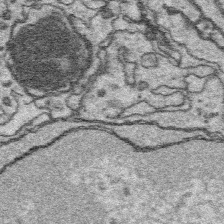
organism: Platynereis dumerilii